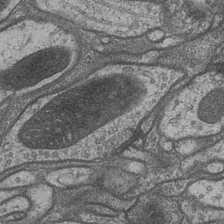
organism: Drosophila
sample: Optic medulla